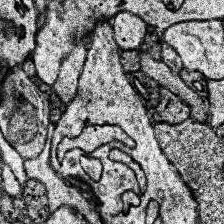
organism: Human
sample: Temporal Lobe